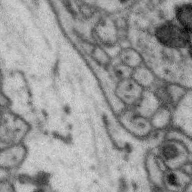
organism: Zebra finch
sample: Brain